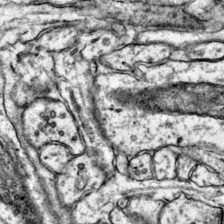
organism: Mouse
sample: Primary visual cortex